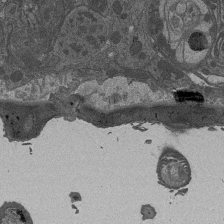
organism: Drosophila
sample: Antenna